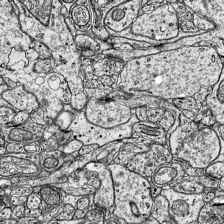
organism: Mouse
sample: Visual Cortex